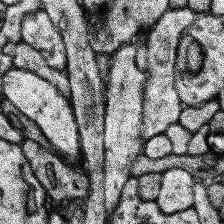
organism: Human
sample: Temporal Lobe